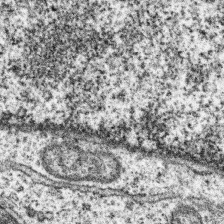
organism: Human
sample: HeLa cells